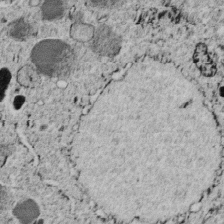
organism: C. elegans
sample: C. elegans embryo early stage